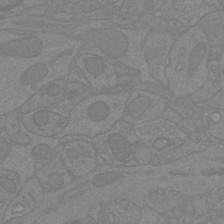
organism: Mouse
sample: Cortical neurons